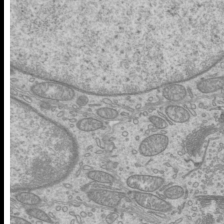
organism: Mouse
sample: Cilia; mouse epididymis